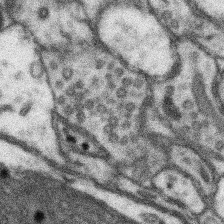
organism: Mouse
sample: Somatosensory cortex neuropil